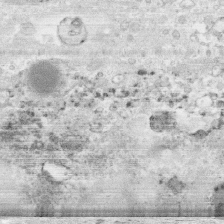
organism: Human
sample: CRL-1474